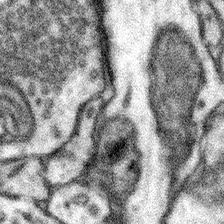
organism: Mouse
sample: Somatosensory cortex neuropil